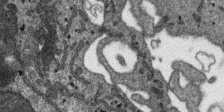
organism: Human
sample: Lung epithelial cells infected with SARS-CoV-2